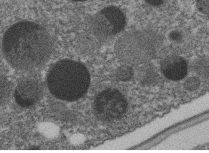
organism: C. elegans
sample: C. elegans embryo early stage